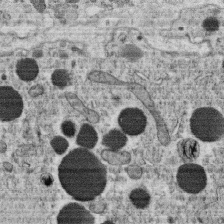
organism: C. elegans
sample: C. elegans oocyte; sperm cells